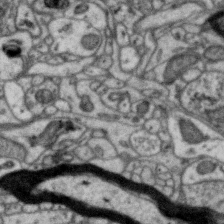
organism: Zebra finch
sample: Brain